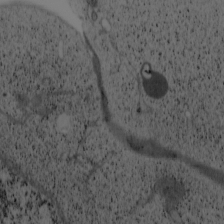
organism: African green monkey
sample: COS-7 cells